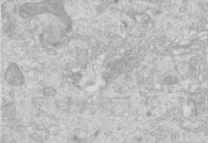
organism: Human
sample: Centriole in RPE cells